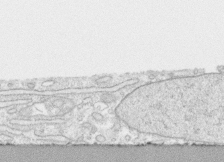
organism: Human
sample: CRL-1474